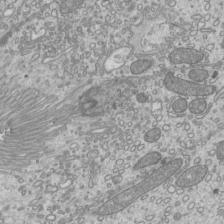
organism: Mouse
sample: Cilia; mouse epididymis